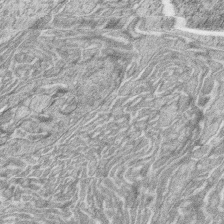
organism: Zebrafish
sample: synaptic ribbons in rod cells and cone cells